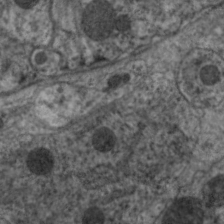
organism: C. elegans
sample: Pharynx